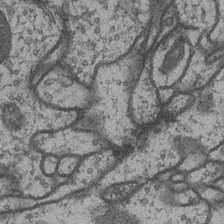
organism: Drosophila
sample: Optic medulla